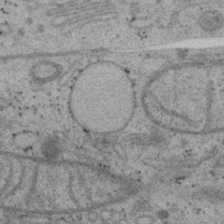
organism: Human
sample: HeLa cells